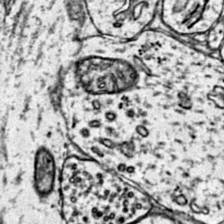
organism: Mouse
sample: Primary visual cortex